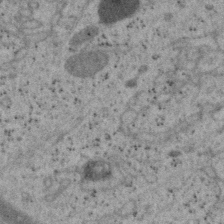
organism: Human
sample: HeLa cells